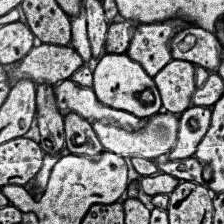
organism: Human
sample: Temporal Lobe